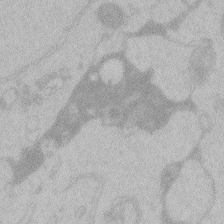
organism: Zebrafish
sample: Macrophage infected with Toxoplasma gondii